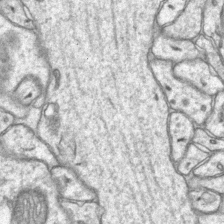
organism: Mouse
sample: CA1 Hippocampus